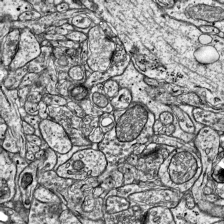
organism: Mouse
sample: Visual Cortex